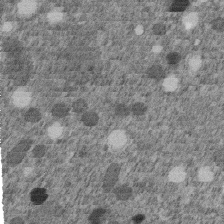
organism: C. elegans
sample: C. elegans embryo early stage